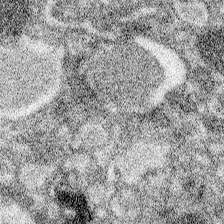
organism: Spongilla lacustris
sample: Neuroid cell